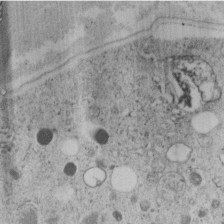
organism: C. elegans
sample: C. elegans embryo early stage